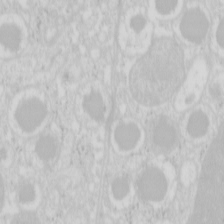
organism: Mouse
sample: Pancreas